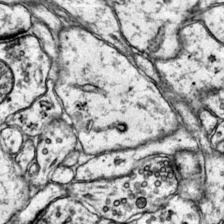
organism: Mouse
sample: Primary visual cortex